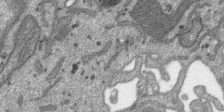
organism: Human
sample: Lung epithelial cells infected with SARS-CoV-2